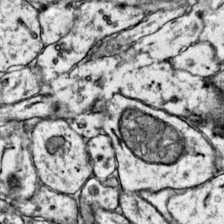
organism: Mouse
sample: Primary visual cortex